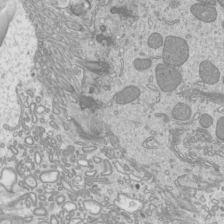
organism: Mouse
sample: Cilia; mouse epididymis